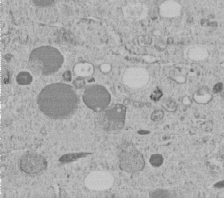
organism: C. elegans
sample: C. elegans embryo early stage